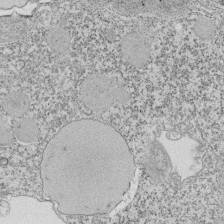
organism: Tetrahymena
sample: Cilia in tetrahymena